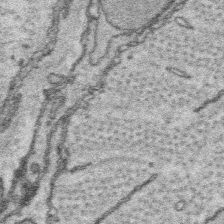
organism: Platynereis dumerilii